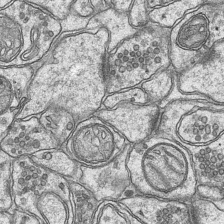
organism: Mouse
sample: CA1 Hippocampus